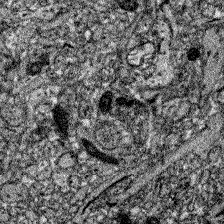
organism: Zebrafish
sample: Larval olfactory bulb